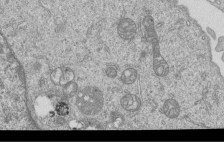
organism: Human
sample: MDA-MB-231 cells